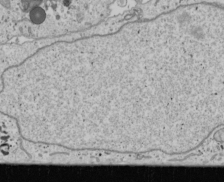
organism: Human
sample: Mitochondria in U2OS cells